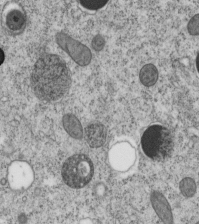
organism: C. elegans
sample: C. elegans embryo early stage